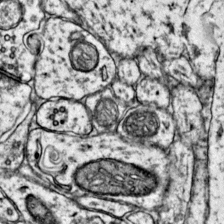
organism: Mouse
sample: Primary visual cortex